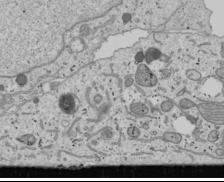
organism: Human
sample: Mitochondria in U2OS cells